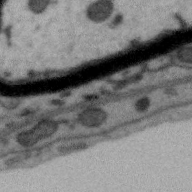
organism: Zebra finch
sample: Brain